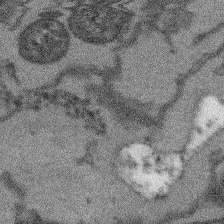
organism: Arabidopsis thaliana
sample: Root tip